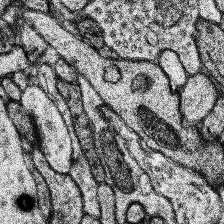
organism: Human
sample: Temporal Lobe